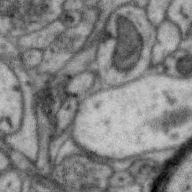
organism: Zebra finch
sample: Brain